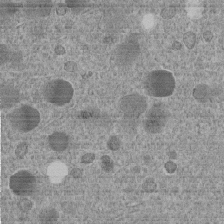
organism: C. elegans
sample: C. elegans embryo early stage